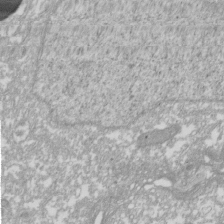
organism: Xenopus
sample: Cilia; centrioles in frog embryo cells